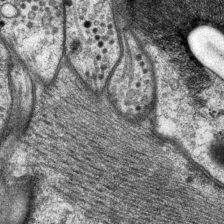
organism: P. pacificus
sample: Pharynx